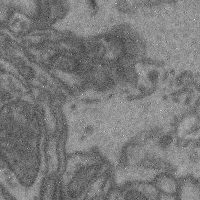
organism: Mouse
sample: Cerebral cortex